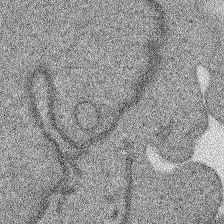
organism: Human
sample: HeLa cells